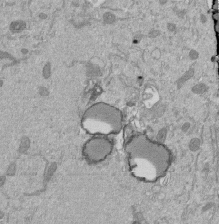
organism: Mouse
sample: ED-1 cell nuclei; centrioles